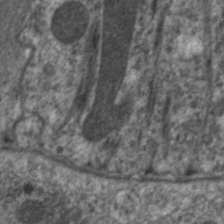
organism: C. elegans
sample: Pharynx